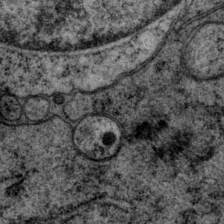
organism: P. pacificus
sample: Pharynx